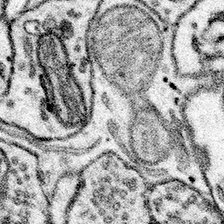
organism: Mouse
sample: Somatosensory cortex neuropil